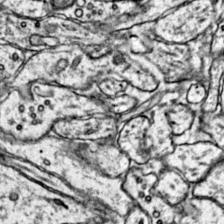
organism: Mouse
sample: Primary visual cortex